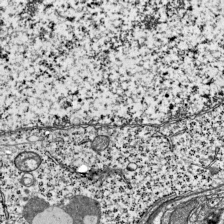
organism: Mouse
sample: Visual Cortex